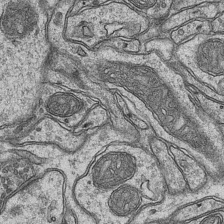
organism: Mouse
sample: CA1 Hippocampus